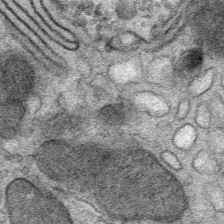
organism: Mouse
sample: Mouse Salivary gland